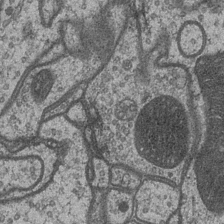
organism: Drosophila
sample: Optic medulla